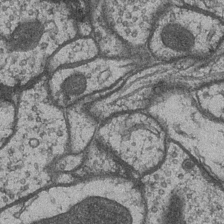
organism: Drosophila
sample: Optic medulla